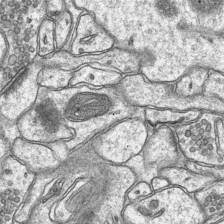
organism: Mouse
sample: CA1 Hippocampus